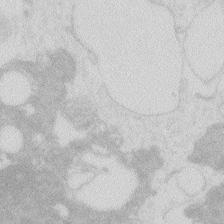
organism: Zebrafish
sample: Macrophage